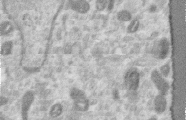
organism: Human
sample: Centriole in RPE cells